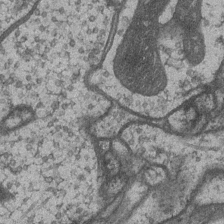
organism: Drosophila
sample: Optic medulla